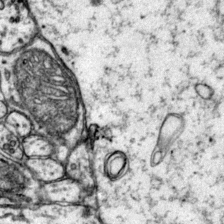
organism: Mouse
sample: Primary visual cortex